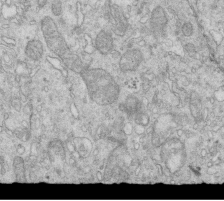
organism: Mouse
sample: Multiciliated cells